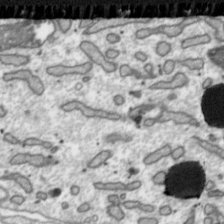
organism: Toxoplasma gondii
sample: Parasites in a vacuole inside a host cell